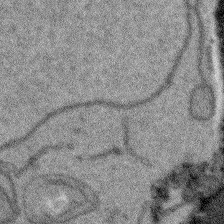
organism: Arabidopsis thaliana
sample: Root tip